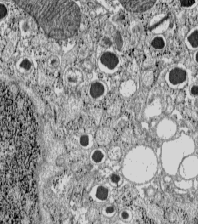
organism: C57BL Mouse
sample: Pancreatic islet